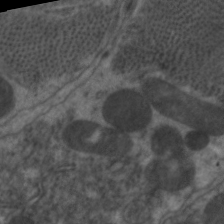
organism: C. elegans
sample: Pharynx